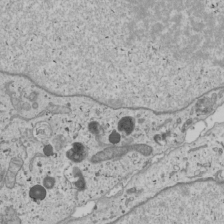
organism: Human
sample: Mitochondria in U2OS cells